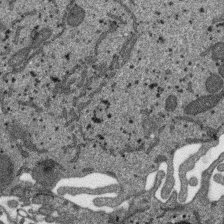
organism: Human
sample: Lung epithelial cells infected with SARS-CoV-2